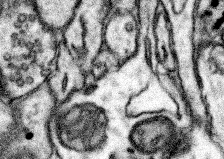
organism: Mouse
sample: Somatosensory cortex neuropil